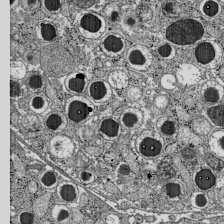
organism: C57BL Mouse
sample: Pancreatic islet